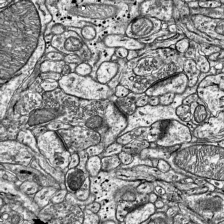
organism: Mouse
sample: Visual Cortex